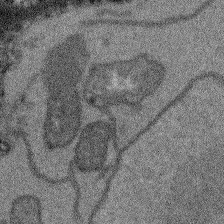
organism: Arabidopsis thaliana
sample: Root tip